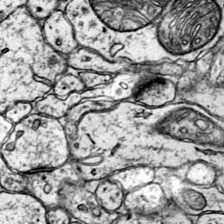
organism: Mouse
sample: Primary visual cortex